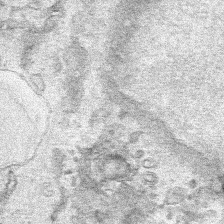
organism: Human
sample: Mitochondria in HCT116 cells